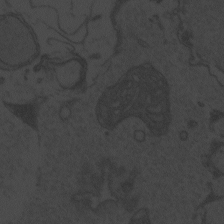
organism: Zebrafish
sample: Macrophage infected with Toxoplasma gondii